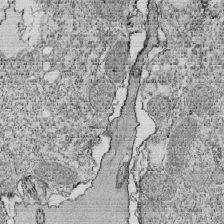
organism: Tetrahymena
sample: Cilia in tetrahymena